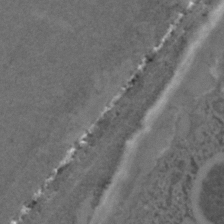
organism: C. elegans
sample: C. elegans embryo